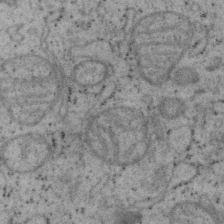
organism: Human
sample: HeLa cells